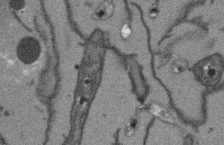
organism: Arabidopsis thaliana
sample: Root tip